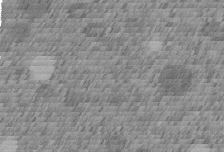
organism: C. elegans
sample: C. elegans embryo early stage